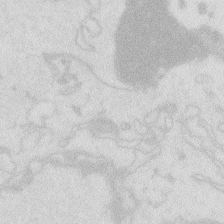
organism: Zebrafish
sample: Macrophage